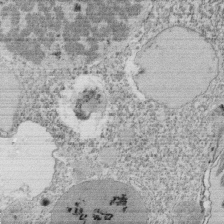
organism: Tetrahymena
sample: Cilia in tetrahymena